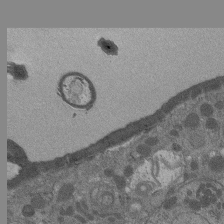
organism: Drosophila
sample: Antenna